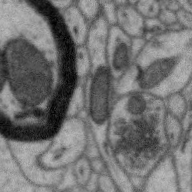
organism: Zebra finch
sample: Brain